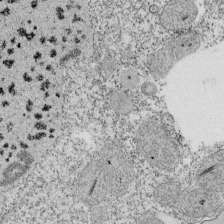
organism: Tetrahymena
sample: Cilia in tetrahymena